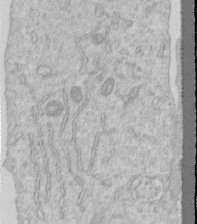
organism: Human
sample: Centriole in RPE cells